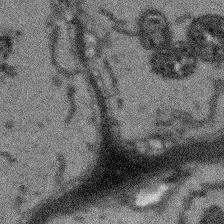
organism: Arabidopsis thaliana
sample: Root tip